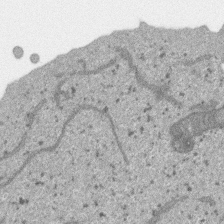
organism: Human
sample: Lung epithelial cells infected with SARS-CoV-2